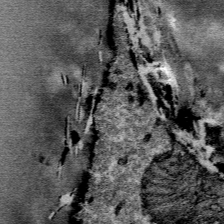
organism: Mouse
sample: Mouse Salivary gland